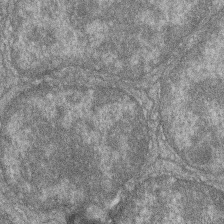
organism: Zebrafish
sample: Cilia; retinal pigment epithelium